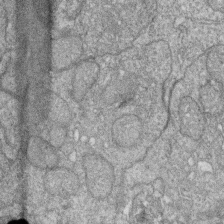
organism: Zebrafish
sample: Cilia; retinal pigment epithelium